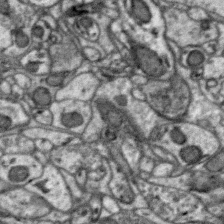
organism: Zebra finch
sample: Brain